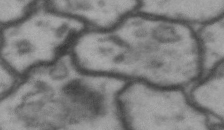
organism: Drosophila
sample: Brain